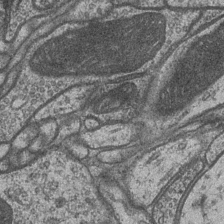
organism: Drosophila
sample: Optic medulla